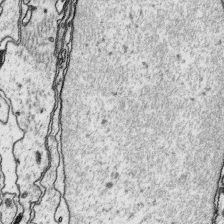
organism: Platynereis dumerilii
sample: Parapodia